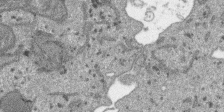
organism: Human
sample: Lung epithelial cells infected with SARS-CoV-2